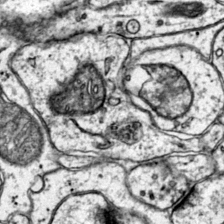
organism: Mouse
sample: Primary visual cortex